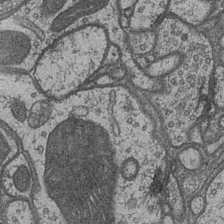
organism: Drosophila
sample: Optic medulla